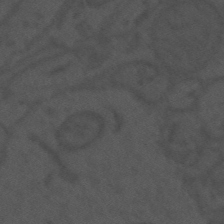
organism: Mouse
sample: Suprachiasmatic nucleus